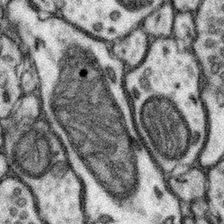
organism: Mouse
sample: Somatosensory cortex neuropil